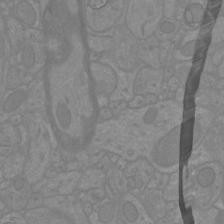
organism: Mouse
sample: Cortical neurons